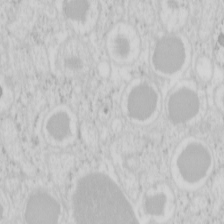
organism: Mouse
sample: Pancreas